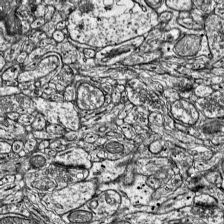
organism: Mouse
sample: Visual Cortex